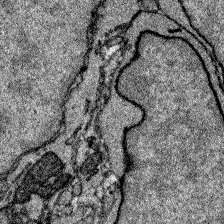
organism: Zebrafish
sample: Larval olfactory bulb